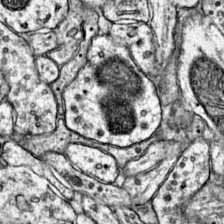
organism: Mouse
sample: Primary visual cortex